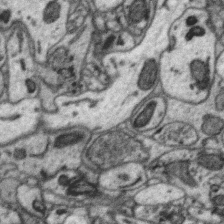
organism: Zebra finch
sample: Brain